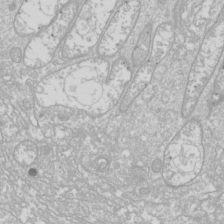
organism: Drosophila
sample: Cell division; meiosis; drosophila spermatocytes